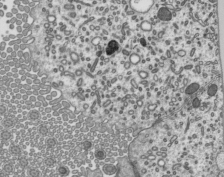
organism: Mouse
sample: Mouse epididymis efferent ductule cilia